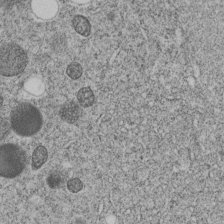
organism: C. elegans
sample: C. elegans embryo early stage